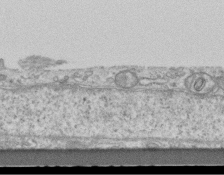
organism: Mouse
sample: Centriole in ependymal cells